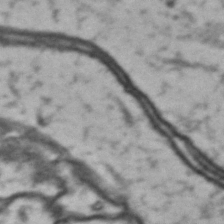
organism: Drosophila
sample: Brain